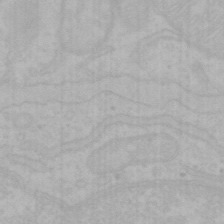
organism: Mouse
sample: Choroid plexus